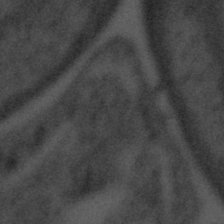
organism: Tuwongella immobilis